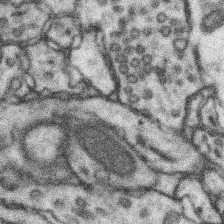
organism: Mouse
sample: Somatosensory cortex neuropil